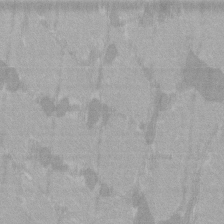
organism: C57BL Mouse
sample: Tibialis anterior muscle cell